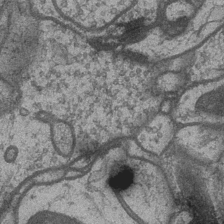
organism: Drosophila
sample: Optic medulla